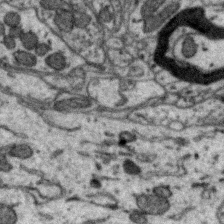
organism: Zebra finch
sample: Brain